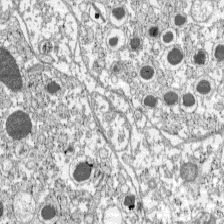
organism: C57BL Mouse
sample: Pancreatic islet